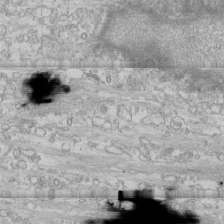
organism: Human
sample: CRL-1474